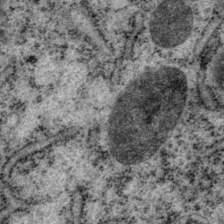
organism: P. pacificus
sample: Pharynx